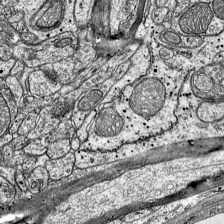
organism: Mouse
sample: Visual Cortex